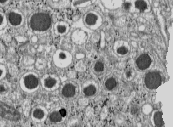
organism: C57BL Mouse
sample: Pancreatic islet